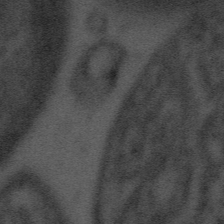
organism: Tuwongella immobilis